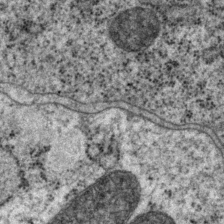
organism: P. pacificus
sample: Pharynx